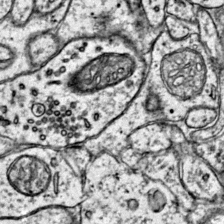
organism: Mouse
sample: Primary visual cortex